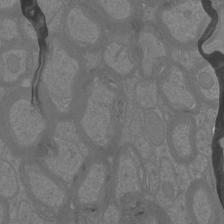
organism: Mouse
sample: Cortical neurons